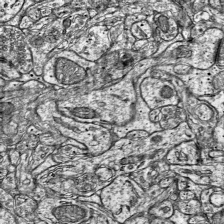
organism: Mouse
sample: Visual Cortex